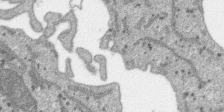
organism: Human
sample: Lung epithelial cells infected with SARS-CoV-2